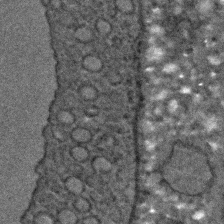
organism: C. elegans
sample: C. elegans embryo